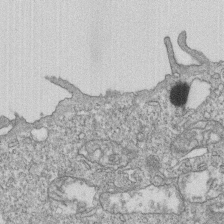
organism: Human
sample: HeLa cell HIV synapse